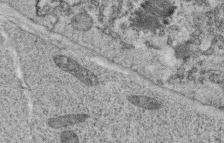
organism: C. elegans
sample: C. elegans oocyte; sperm cells